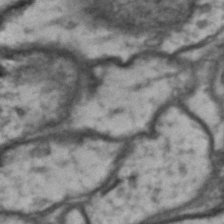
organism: Drosophila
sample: Brain